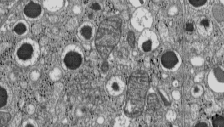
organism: C57BL Mouse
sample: Pancreatic islet